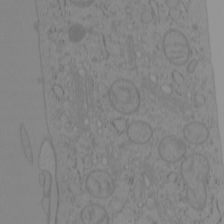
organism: Human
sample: HeLa cells